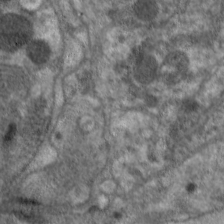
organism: C. elegans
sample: Pharynx